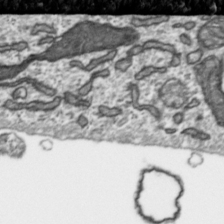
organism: Toxoplasma gondii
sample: Parasites in a vacuole inside a host cell